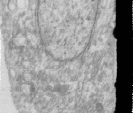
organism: Human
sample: Centriole in RPE cells